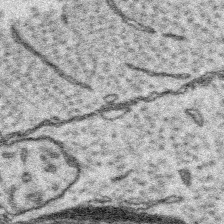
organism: Platynereis dumerilii